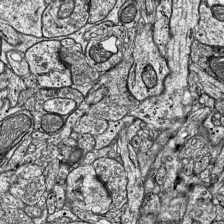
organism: Mouse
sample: Visual Cortex